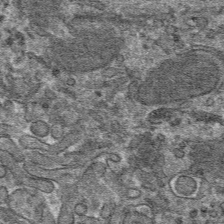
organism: Mouse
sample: Mouse hepatocytes